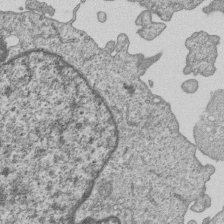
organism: Human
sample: MDA-MB-231 cells